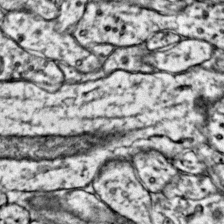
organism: Mouse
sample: Primary visual cortex